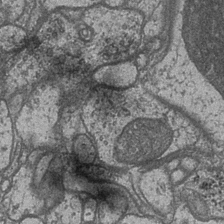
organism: Drosophila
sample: Optic medulla